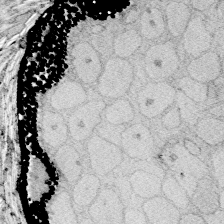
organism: Zebrafish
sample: Whole-Brain